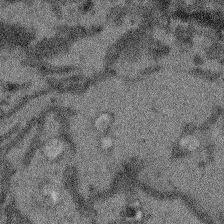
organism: Arabidopsis thaliana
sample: Root tip